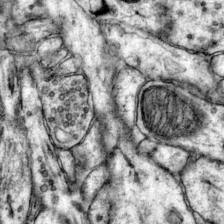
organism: Mouse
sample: Primary visual cortex